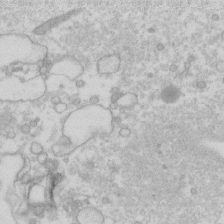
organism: Human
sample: Fibroblast cells